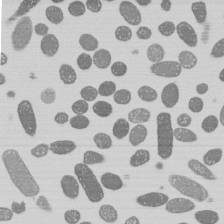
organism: E. coli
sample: Bacterial nucleoid